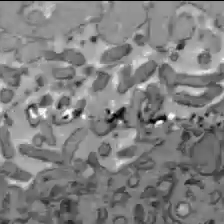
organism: C57BL Mouse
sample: Liver